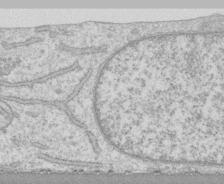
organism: Human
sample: CRL-1474